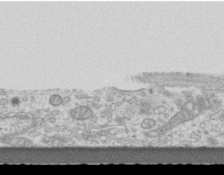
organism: Mouse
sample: Centriole in ependymal cells